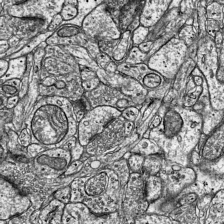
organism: Mouse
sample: Visual Cortex